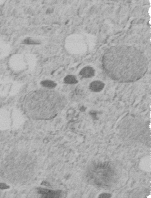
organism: C. elegans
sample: C. elegans embryo early stage